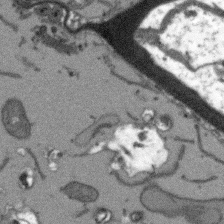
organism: Arabidopsis thaliana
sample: Root tip